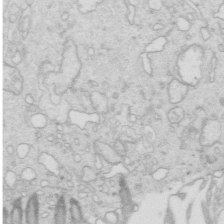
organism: Mouse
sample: Multiciliated cells